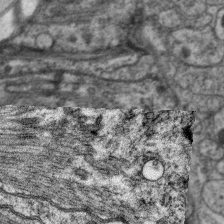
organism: C. elegans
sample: Pharynx